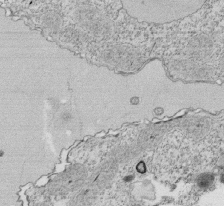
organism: Tetrahymena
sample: Cilia in tetrahymena